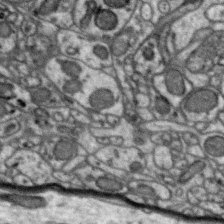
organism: Zebra finch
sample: Brain